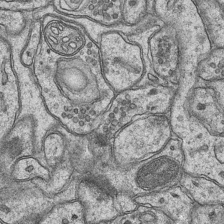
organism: Mouse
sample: CA1 Hippocampus